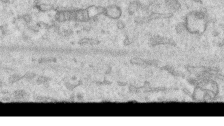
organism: Human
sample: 1205lu cells